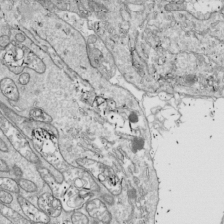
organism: Drosophila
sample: Cell division; meiosis; drosophila spermatocytes